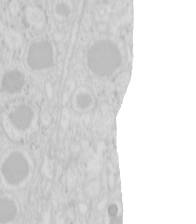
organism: Mouse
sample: Pancreas